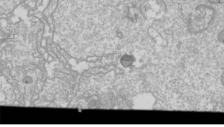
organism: Drosophila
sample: Cell division; meiosis; drosophila spermatocytes